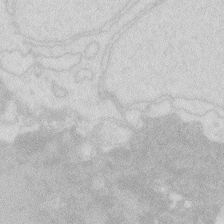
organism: Zebrafish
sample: Macrophage